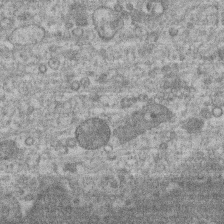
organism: Mouse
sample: T cell stromal cell synapse